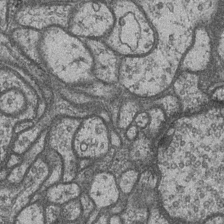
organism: Drosophila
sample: Optic medulla